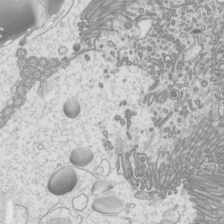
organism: Mouse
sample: Cilia; mouse epididymis